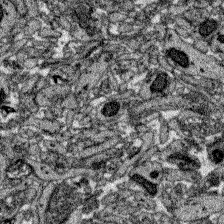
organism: Zebrafish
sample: Larval olfactory bulb